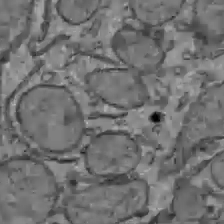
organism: C57BL Mouse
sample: Liver